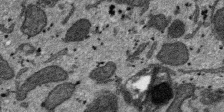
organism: Human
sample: Lung epithelial cells, uninfected (mock) control